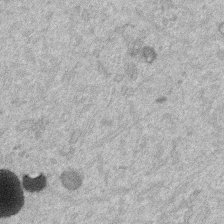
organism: Mouse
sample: Dividing mouse embryo 1 cell stage